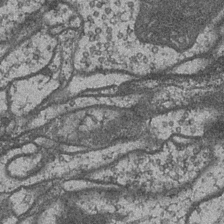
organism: Drosophila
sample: Optic medulla